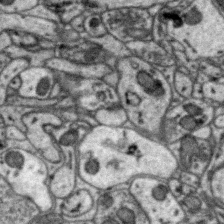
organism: Zebra finch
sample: Brain